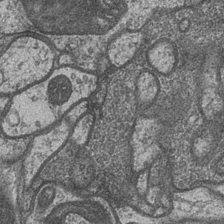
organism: Drosophila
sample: Optic medulla